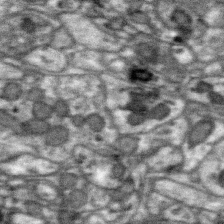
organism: Zebra finch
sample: Brain